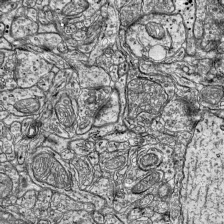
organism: Mouse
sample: Visual Cortex